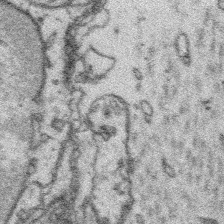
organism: Platynereis dumerilii